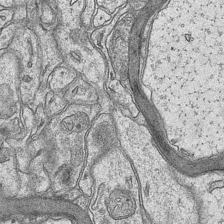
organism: Mouse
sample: CA1 Hippocampus